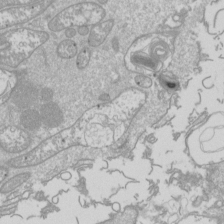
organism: Drosophila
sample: Cell division; meiosis; drosophila spermatocytes